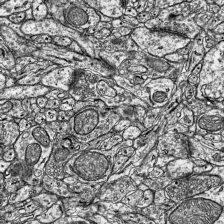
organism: Mouse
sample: Visual Cortex